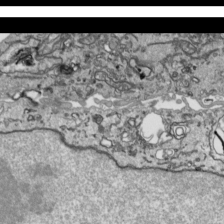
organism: Human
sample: Mitochondria in HCT116 cells